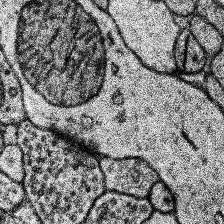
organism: Human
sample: Temporal Lobe